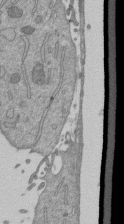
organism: Mouse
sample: ED-1 cell nuclei; centrioles